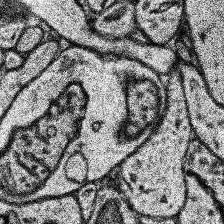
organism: Human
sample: Temporal Lobe